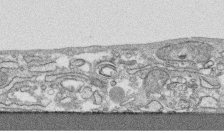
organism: Human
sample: CRL-1474